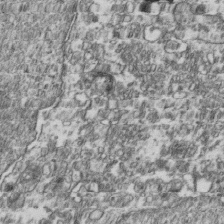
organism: Human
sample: Activated Jurkat CD4+ T cells